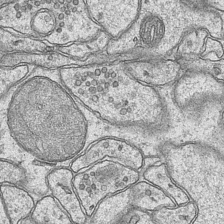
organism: Mouse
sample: CA1 Hippocampus